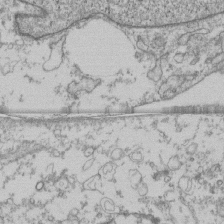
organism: Human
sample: Fibroblast cells